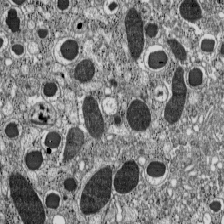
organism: C57BL Mouse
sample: Pancreatic islet